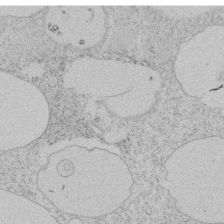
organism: Tetrahymena